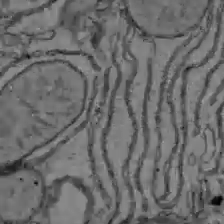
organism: C57BL Mouse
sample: Liver